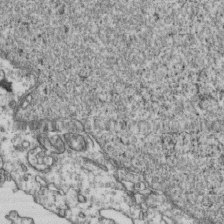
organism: Human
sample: Activated Jurkat CD4+ T cells